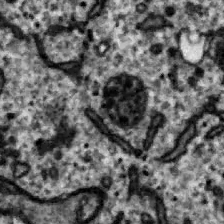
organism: Human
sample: HeLa cells